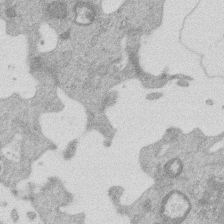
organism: Mouse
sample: Dividing mouse embryo 1 cell stage